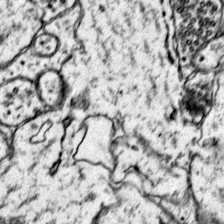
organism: Mouse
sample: Primary visual cortex